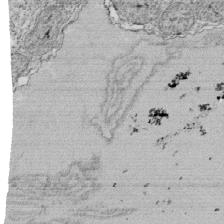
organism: Tetrahymena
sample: Cilia in tetrahymena